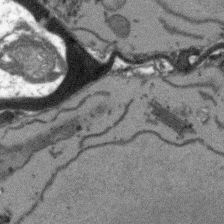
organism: Arabidopsis thaliana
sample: Root tip